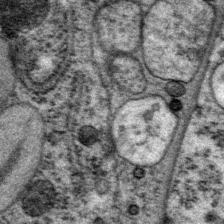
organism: P. pacificus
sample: Pharynx